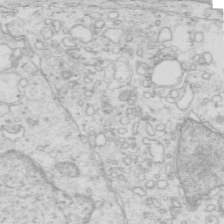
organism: Mouse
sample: Multiciliated cells